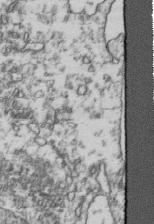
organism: Human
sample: Activated Jurkat CD4+ T cells